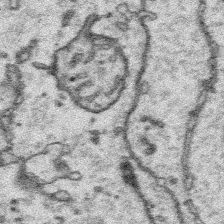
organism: Platynereis dumerilii